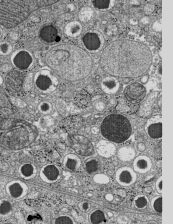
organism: C57BL Mouse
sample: Pancreatic islet